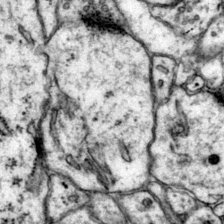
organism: Mouse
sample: Primary visual cortex